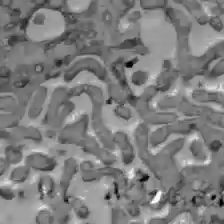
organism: C57BL Mouse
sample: Liver